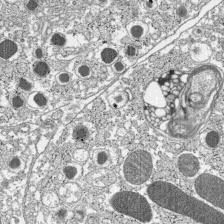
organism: C57BL Mouse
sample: Pancreatic islet